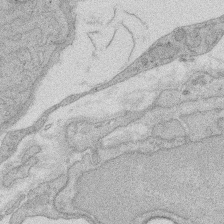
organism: Rat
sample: Salivary granule